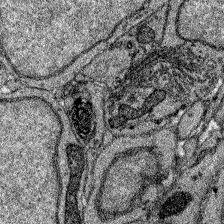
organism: Zebrafish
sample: Larval olfactory bulb